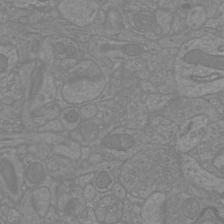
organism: Mouse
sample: Cortical neurons